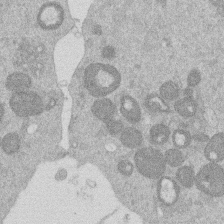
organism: Mouse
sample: Dividing mouse embryo 1 cell stage